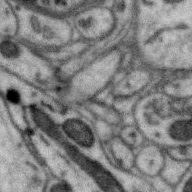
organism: Zebra finch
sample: Brain